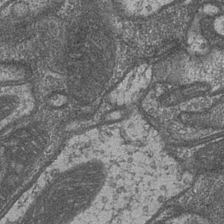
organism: Drosophila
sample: Optic medulla